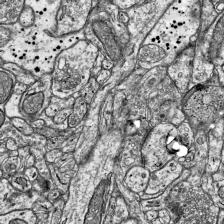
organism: Mouse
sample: Visual Cortex